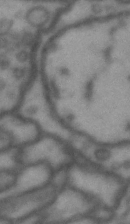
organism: Drosophila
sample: Brain